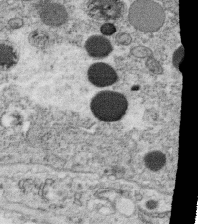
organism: C. elegans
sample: C. elegans oocyte; sperm cells